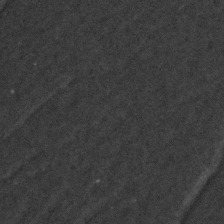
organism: Zebrafish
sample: Zebrafish embryo